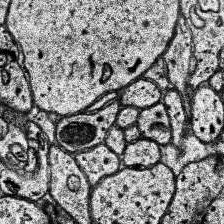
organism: Human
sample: Temporal Lobe